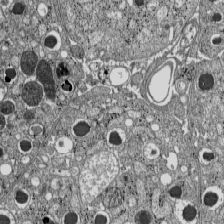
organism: C57BL Mouse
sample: Pancreatic islet